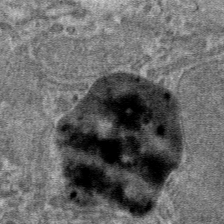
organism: Mouse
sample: Mouse hepatocytes